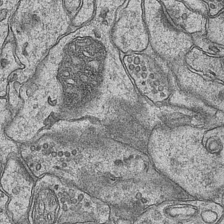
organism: Mouse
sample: CA1 Hippocampus